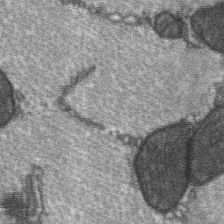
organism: C57BL Mouse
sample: Soleus